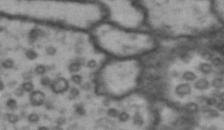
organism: Drosophila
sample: Brain